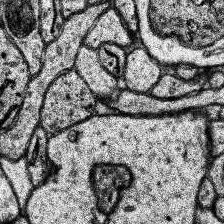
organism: Human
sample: Temporal Lobe